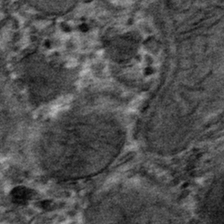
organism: Mouse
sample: Mouse hepatocytes